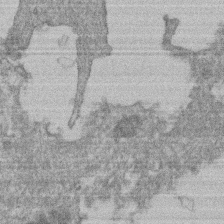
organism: Mouse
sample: T cell stromal cell synapse